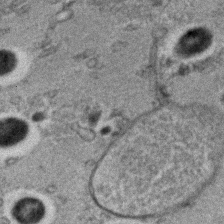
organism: C. elegans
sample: C. elegans embryo